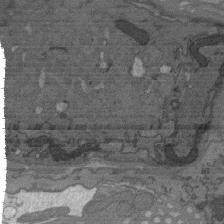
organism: C. elegans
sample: AFD neurons C. elegans